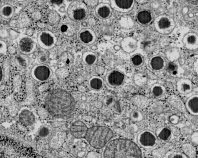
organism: C57BL Mouse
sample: Pancreatic islet